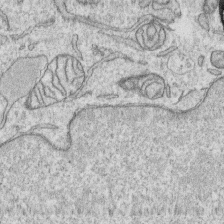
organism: Human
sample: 1205lu cells